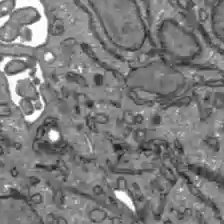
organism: C57BL Mouse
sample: Liver